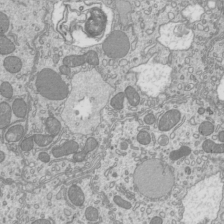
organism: Mouse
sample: Cilia; mouse epididymis